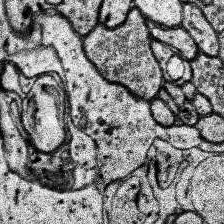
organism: Human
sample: Temporal Lobe